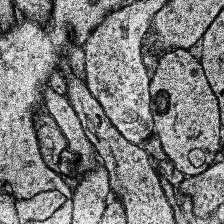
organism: Human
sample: Temporal Lobe